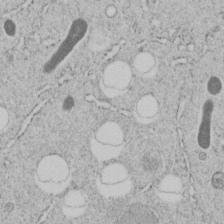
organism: C. elegans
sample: C. elegans embryo early stage